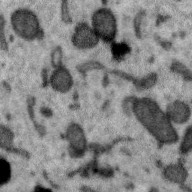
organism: Zebra finch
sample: Brain